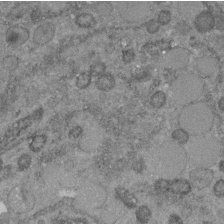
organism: C. elegans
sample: C. elegans embryo early stage